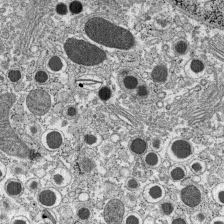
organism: C57BL Mouse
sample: Pancreatic islet